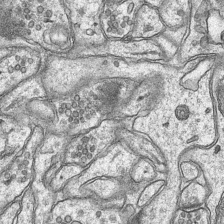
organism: Mouse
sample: CA1 Hippocampus